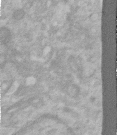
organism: Human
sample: Centriole in RPE cells